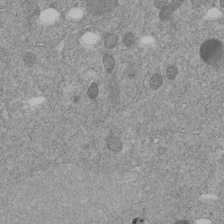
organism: C. elegans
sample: C. elegans embryo early stage